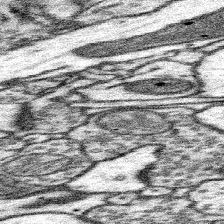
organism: Mouse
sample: Somatosensory cortex neuropil